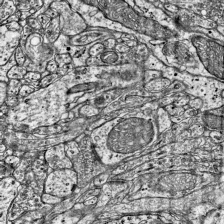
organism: Mouse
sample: Visual Cortex